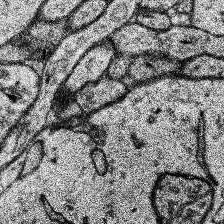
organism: Human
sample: Temporal Lobe